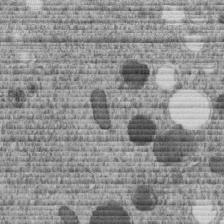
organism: C. elegans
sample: C. elegans embryo early stage